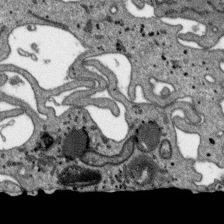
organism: Human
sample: Lung epithelial cells, uninfected (mock) control